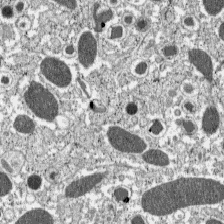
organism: C57BL Mouse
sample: Pancreatic islet